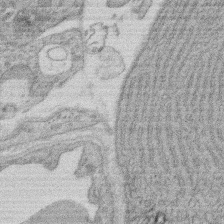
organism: Rat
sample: Salivary granule